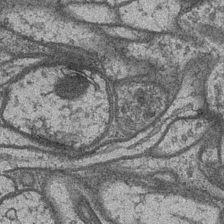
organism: Drosophila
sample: Optic medulla